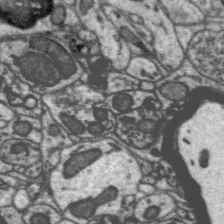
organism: Zebra finch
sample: Brain